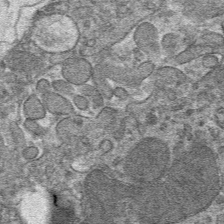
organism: Mouse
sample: Mouse hepatocytes